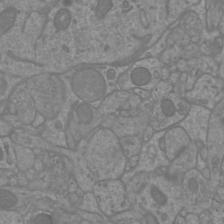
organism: Mouse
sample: Cortical neurons